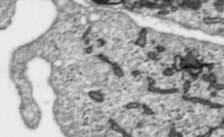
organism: Toxoplasma gondii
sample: Parasites in a vacuole inside a host cell